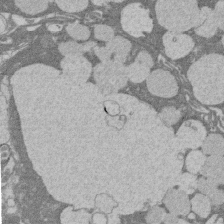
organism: Rat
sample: Salivary granule